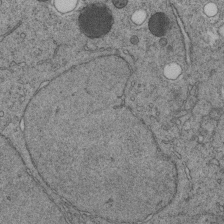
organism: C. elegans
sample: C. elegans embryo early stage